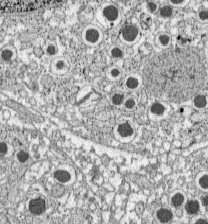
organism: C57BL Mouse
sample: Pancreatic islet